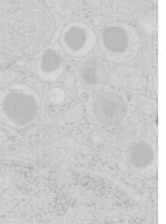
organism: Mouse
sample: Pancreas